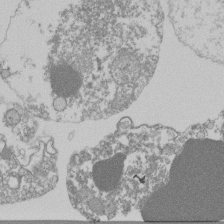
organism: Mouse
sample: Activated Pmel transgenic CD8+ T Cells